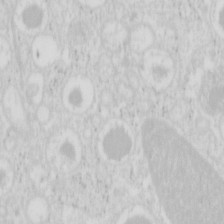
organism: Mouse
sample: Pancreas